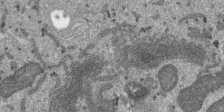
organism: Human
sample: Lung epithelial cells infected with SARS-CoV-2